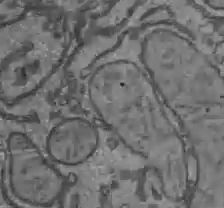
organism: C57BL Mouse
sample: Liver